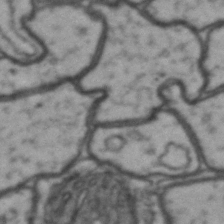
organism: Drosophila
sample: Brain